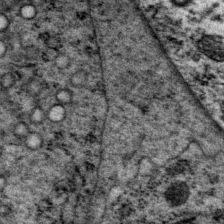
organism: P. pacificus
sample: Pharynx